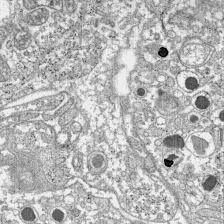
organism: C57BL Mouse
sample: Pancreatic islet